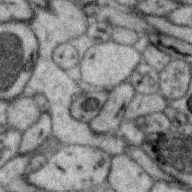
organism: Zebra finch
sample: Brain